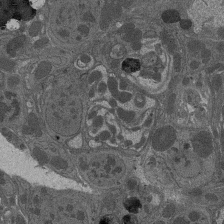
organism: Drosophila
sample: Antenna